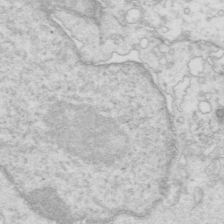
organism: Mouse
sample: Multiciliated cells